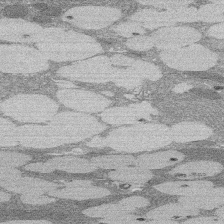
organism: Rat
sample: Salivary granule